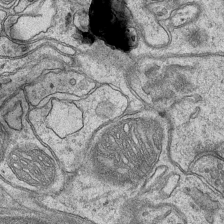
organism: Mouse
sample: CA1 Hippocampus